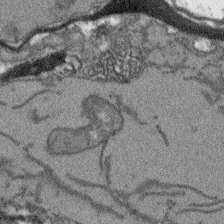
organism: Arabidopsis thaliana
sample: Root tip